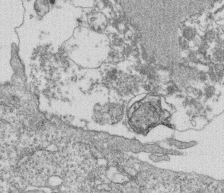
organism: Human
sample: HeLa cell HIV synapse